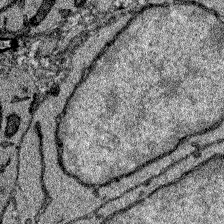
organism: Zebrafish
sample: Larval olfactory bulb